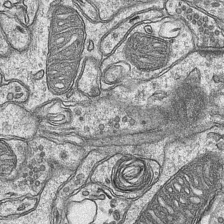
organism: Mouse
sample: CA1 Hippocampus